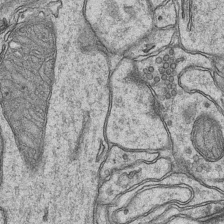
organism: Mouse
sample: CA1 Hippocampus